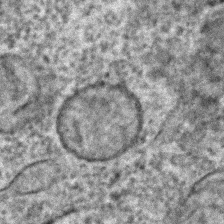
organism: C. elegans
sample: C. elegans embryo